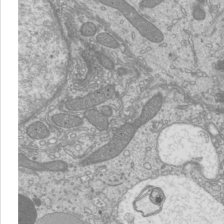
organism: Mouse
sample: Cilia; mouse epididymis